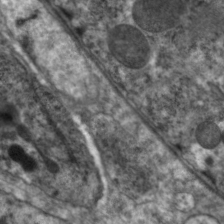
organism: C. elegans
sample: Pharynx